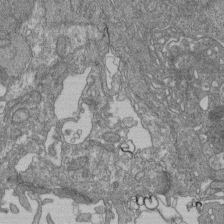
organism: Human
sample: Retinal organoid Rod and Cone cells